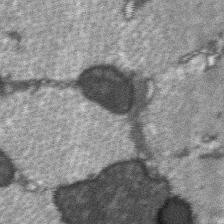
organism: C57BL Mouse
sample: Soleus